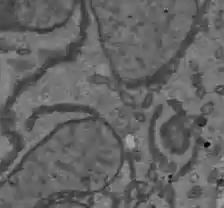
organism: C57BL Mouse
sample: Liver